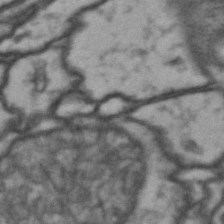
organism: Drosophila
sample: Brain